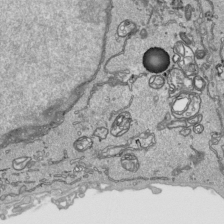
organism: Human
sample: Mitochondria in HCT116 cells